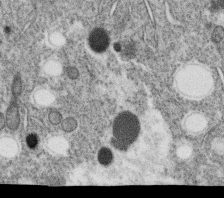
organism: C. elegans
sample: C. elegans oocyte; sperm cells